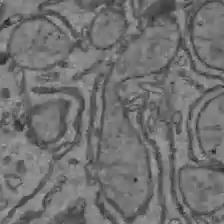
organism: C57BL Mouse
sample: Liver